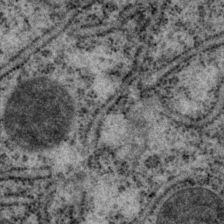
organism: P. pacificus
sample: Pharynx